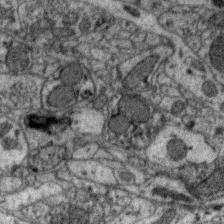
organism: Zebra finch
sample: Brain